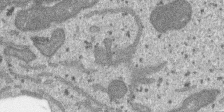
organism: Human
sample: Lung epithelial cells infected with SARS-CoV-2